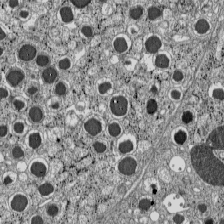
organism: C57BL Mouse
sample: Pancreatic islet